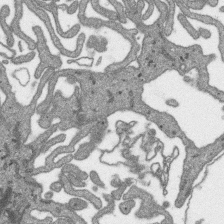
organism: Human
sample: Lung epithelial cells infected with SARS-CoV-2